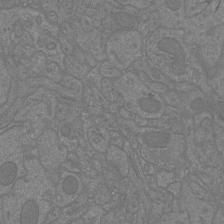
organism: Mouse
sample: Cortical neurons